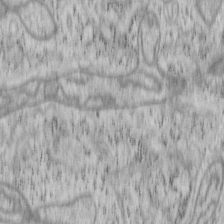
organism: Human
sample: HeLa cells